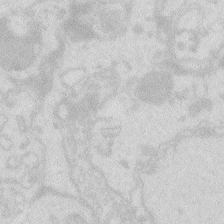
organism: Zebrafish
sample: Macrophage